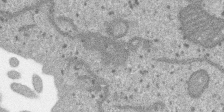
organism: Human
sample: Lung epithelial cells infected with SARS-CoV-2